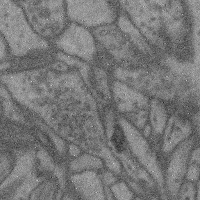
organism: Mouse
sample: Cerebral cortex